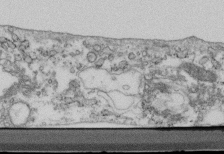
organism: Mouse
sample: Cilia; retinal pigment epithelium